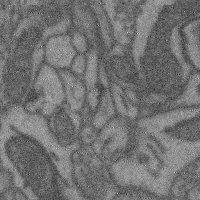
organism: Mouse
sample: Cerebral cortex